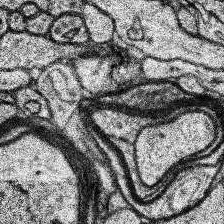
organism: Human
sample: Temporal Lobe